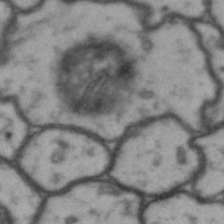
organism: Drosophila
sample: Brain